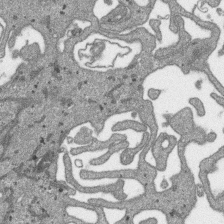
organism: Human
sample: Lung epithelial cells infected with SARS-CoV-2